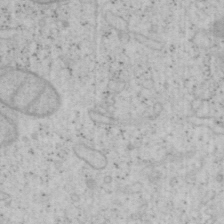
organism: Human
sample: HeLa cells